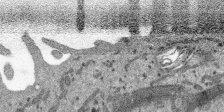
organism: Human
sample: Lung epithelial cells infected with SARS-CoV-2